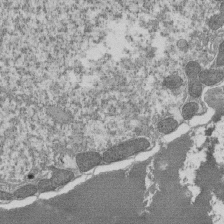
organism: Tetrahymena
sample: Cilia in tetrahymena